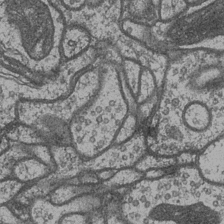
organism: Drosophila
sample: Optic medulla